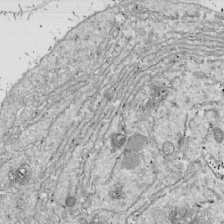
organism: Drosophila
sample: Cell division; meiosis; drosophila spermatocytes